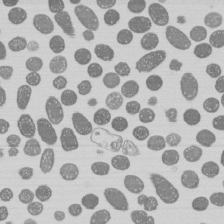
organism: E. coli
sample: Bacterial nucleoid